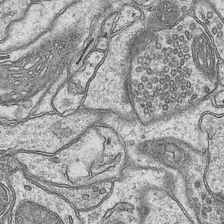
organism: Mouse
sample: CA1 Hippocampus